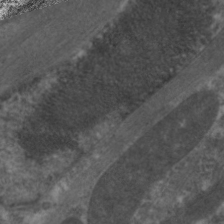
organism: C. elegans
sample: Pharynx